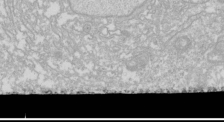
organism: Drosophila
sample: Cell division; meiosis; drosophila spermatocytes